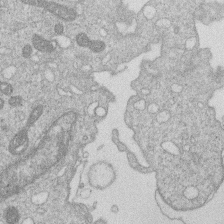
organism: Human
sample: Macrophage cells